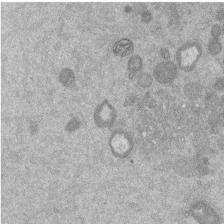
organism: Mouse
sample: Dividing mouse embryo 1 cell stage